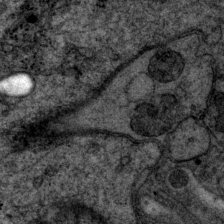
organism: P. pacificus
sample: Pharynx